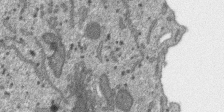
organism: Human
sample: Lung epithelial cells infected with SARS-CoV-2